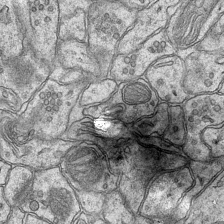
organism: Mouse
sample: CA1 Hippocampus